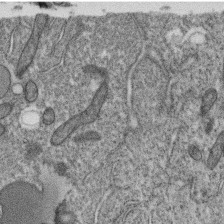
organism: C. elegans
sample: C. elegans oocyte; sperm cells